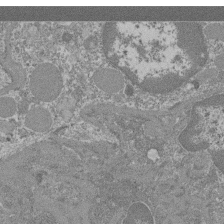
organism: Mouse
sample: Glomerulus